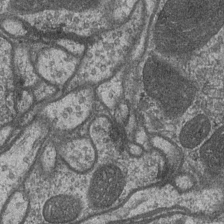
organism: Drosophila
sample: Optic medulla